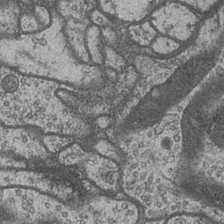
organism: Drosophila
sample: Optic medulla